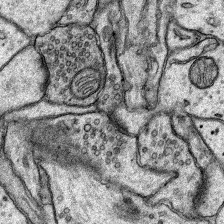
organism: Rat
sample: Hippocampus